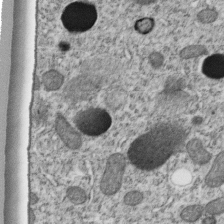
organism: C. elegans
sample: C. elegans embryo early stage